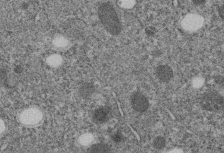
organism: C. elegans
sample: C. elegans embryo early stage